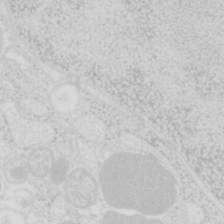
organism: Mouse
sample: Pancreas